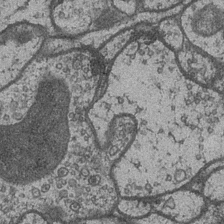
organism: Drosophila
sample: Optic medulla